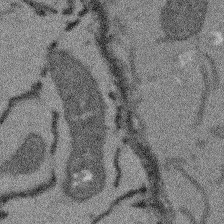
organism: Arabidopsis thaliana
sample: Root tip